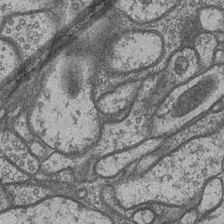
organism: Drosophila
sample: Optic medulla